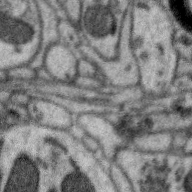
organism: Zebra finch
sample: Brain